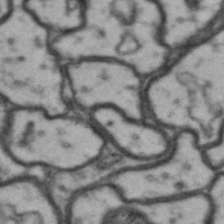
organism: Drosophila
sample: Brain